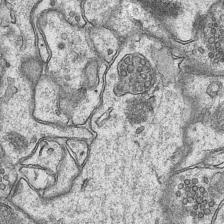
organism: Mouse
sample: CA1 Hippocampus